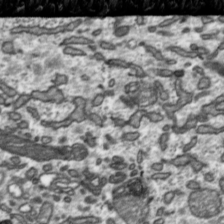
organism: Toxoplasma gondii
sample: Parasites in a vacuole inside a host cell